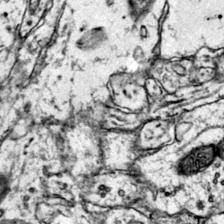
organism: Mouse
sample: Primary visual cortex